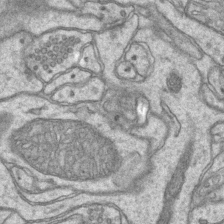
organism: Mouse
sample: CA1 Hippocampus